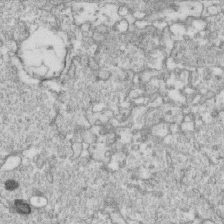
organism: Mouse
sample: Activated OT-1 CD8+ T cells